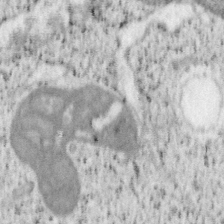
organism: Mouse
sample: OT-I killer T cells with ID8 ovarian cancer cells